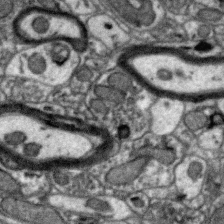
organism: Zebra finch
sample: Brain